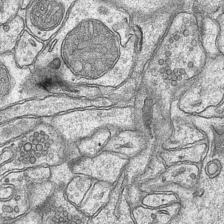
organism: Mouse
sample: CA1 Hippocampus